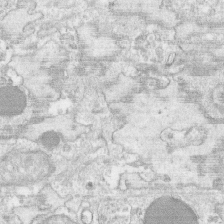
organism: Human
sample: CRL-1474